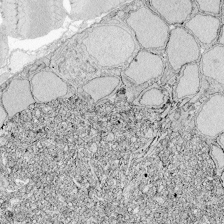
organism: Zebrafish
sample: Whole-Brain